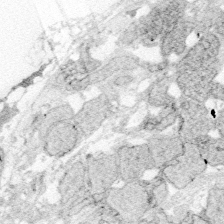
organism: Zebrafish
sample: Whole-Brain